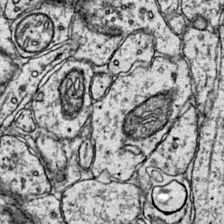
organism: Mouse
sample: Primary visual cortex